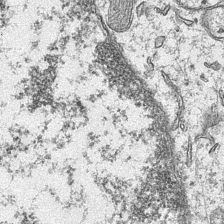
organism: Mouse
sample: CA1 Hippocampus